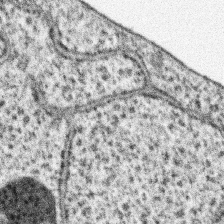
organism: Human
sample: HeLa cells